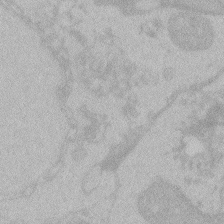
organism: Zebrafish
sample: Macrophage infected with Toxoplasma gondii